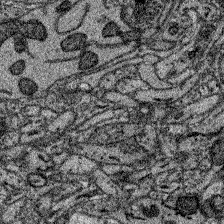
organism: Zebrafish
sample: Larval olfactory bulb